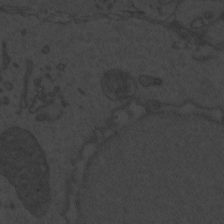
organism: Zebrafish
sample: Macrophage infected with Toxoplasma gondii